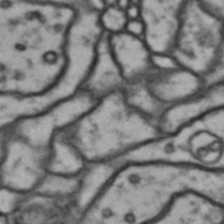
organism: Drosophila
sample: Brain